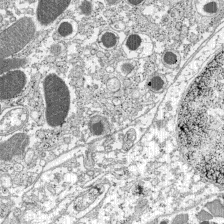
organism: C57BL Mouse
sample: Pancreatic islet